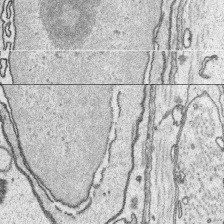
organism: Platynereis dumerilii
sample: Parapodia